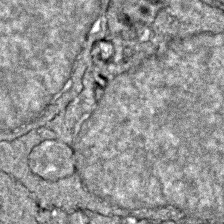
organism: Zebrafish